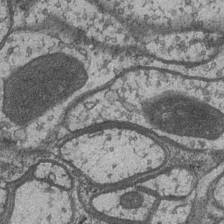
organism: Drosophila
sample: Optic medulla